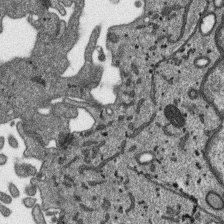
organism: Human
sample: Lung epithelial cells infected with SARS-CoV-2